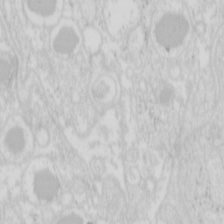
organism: Mouse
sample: Pancreas